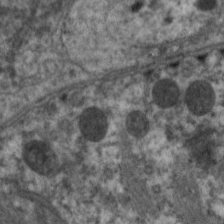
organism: C. elegans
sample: Pharynx